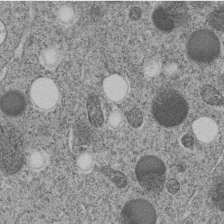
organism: C. elegans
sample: C. elegans embryo early stage